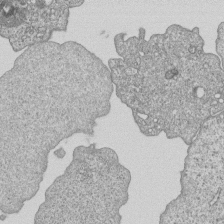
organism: Human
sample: MDA-MB-231 cells